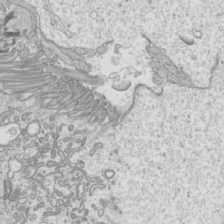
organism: Mouse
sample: Cilia; mouse epididymis